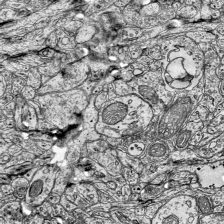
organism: Mouse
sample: Visual Cortex